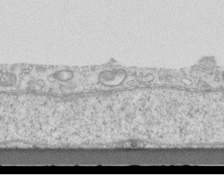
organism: Mouse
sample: Centriole in ependymal cells